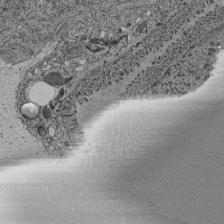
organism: C. elegans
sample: C. elegans pharynx